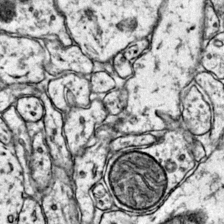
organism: Mouse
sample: Primary visual cortex